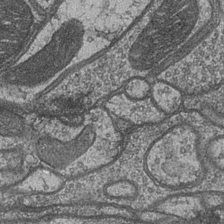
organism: Drosophila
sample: Optic medulla